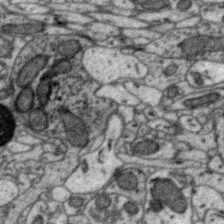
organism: Zebra finch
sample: Brain